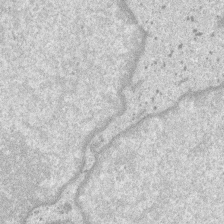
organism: Human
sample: Lung epithelial cells infected with SARS-CoV-2